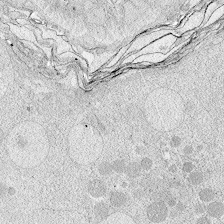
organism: Zebrafish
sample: Whole-Brain